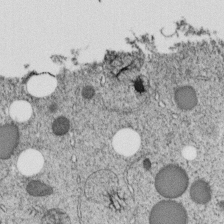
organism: C. elegans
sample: C. elegans embryo early stage